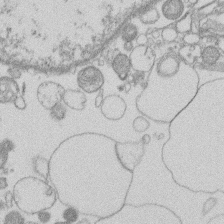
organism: Human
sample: Macrophage cells